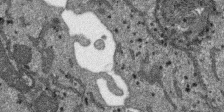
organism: Human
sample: Lung epithelial cells infected with SARS-CoV-2